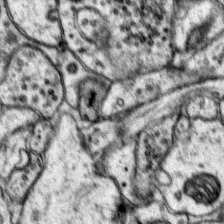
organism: Mouse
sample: Primary visual cortex